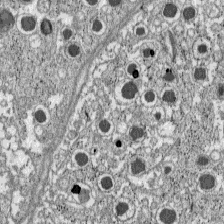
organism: C57BL Mouse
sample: Pancreatic islet